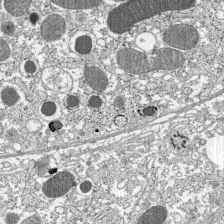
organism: C57BL Mouse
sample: Pancreatic islet